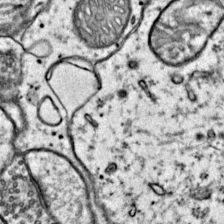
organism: Mouse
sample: Primary visual cortex